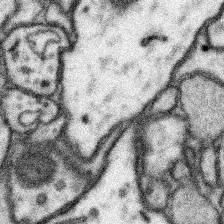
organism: Mouse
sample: Somatosensory cortex neuropil